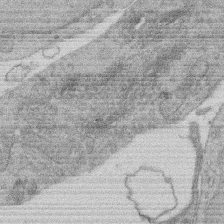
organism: Rat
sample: Salivary granule